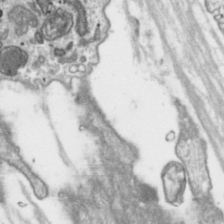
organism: Toxoplasma gondii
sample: Parasites in a vacuole inside a host cell